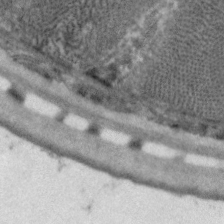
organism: C. elegans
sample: Pharynx